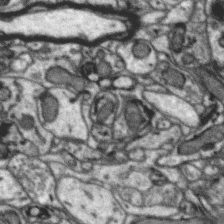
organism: Zebra finch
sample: Brain